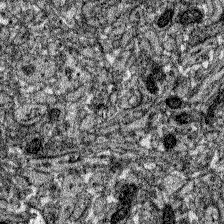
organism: Zebrafish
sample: Larval olfactory bulb